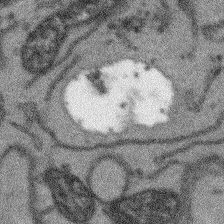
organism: Arabidopsis thaliana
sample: Root tip